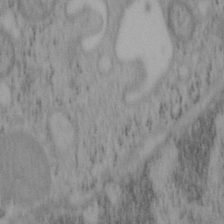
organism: Mouse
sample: OT-I killer T cells with ID8 ovarian cancer cells